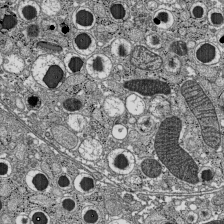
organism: C57BL Mouse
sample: Pancreatic islet